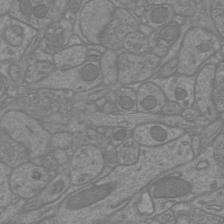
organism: Mouse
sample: Cortical neurons